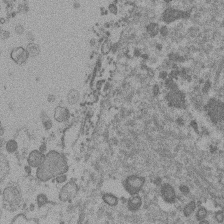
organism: Mouse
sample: Dividing mouse embryo 1 cell stage